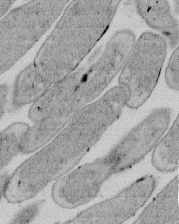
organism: E. coli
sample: Bacterial nucleoid